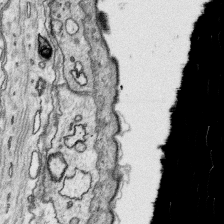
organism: Platynereis dumerilii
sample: Parapodia